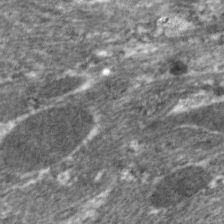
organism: C. elegans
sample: Pharynx